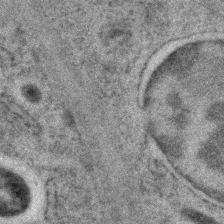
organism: C. elegans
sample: C. elegans embryo